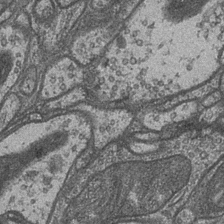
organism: Drosophila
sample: Optic medulla